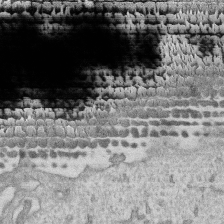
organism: Human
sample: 1205lu cells